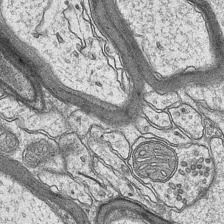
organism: Mouse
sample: CA1 Hippocampus